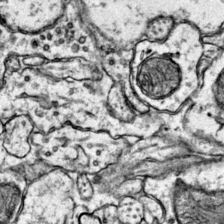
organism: Mouse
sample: Primary visual cortex